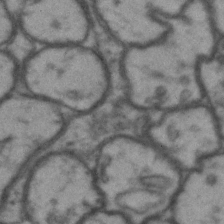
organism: Drosophila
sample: Brain